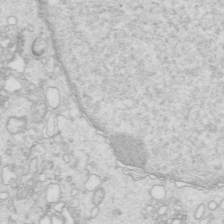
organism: Mouse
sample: Multiciliated cells